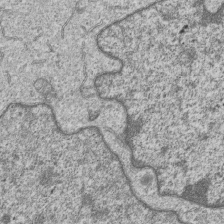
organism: Human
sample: MDA-MB-231 cells